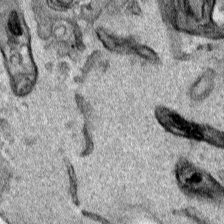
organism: Human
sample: Mitochondria in HCT116 cells